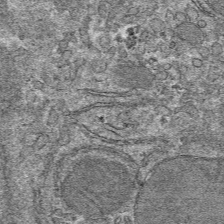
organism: Mouse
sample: Mouse hepatocytes